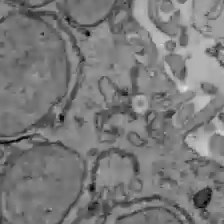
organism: C57BL Mouse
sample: Liver